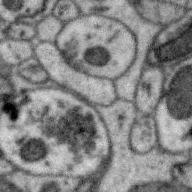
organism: Zebra finch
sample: Brain